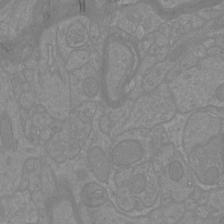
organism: Mouse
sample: Cortical neurons